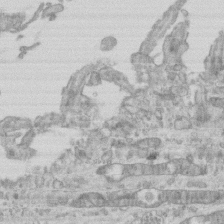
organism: Mouse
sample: Centriole in ependymal cells